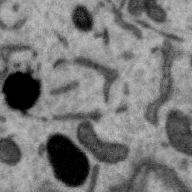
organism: Zebra finch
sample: Brain